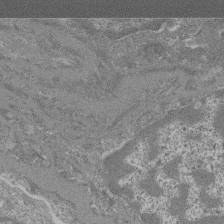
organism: Mouse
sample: Glomerulus